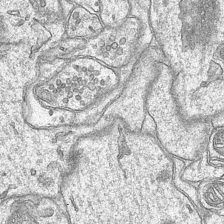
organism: Mouse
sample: CA1 Hippocampus